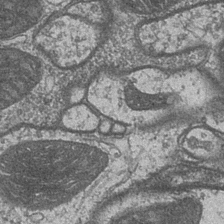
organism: Drosophila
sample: Optic medulla